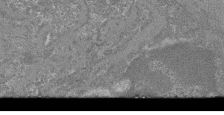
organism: Mouse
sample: Glomerulus